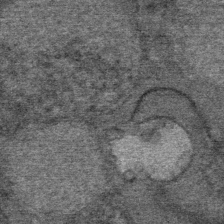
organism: Mouse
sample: Mouse Salivary gland